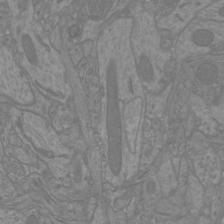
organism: Mouse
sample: Cortical neurons